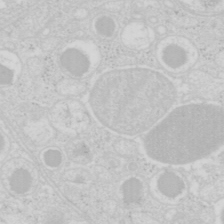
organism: Mouse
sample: Pancreas